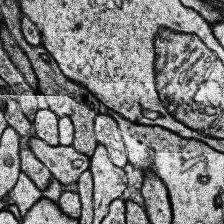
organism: Human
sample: Temporal Lobe